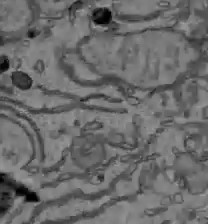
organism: C57BL Mouse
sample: Liver